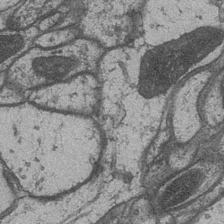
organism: Drosophila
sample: Optic medulla